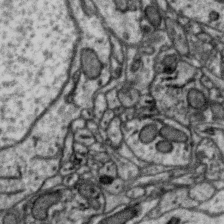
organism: Zebra finch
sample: Brain